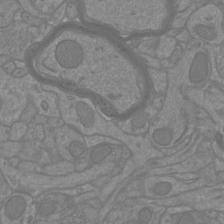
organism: Mouse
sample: Cortical neurons